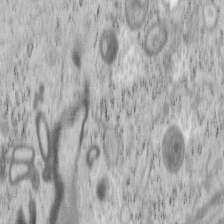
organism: Human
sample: HeLa cells